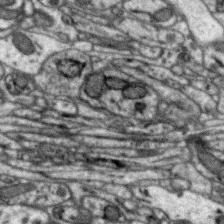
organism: Zebra finch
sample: Brain